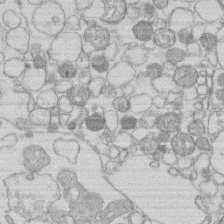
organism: Human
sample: Macrophage cells